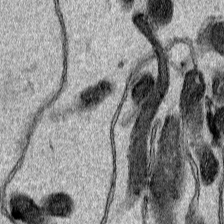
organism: Human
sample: Mitochondria in HCT116 cells